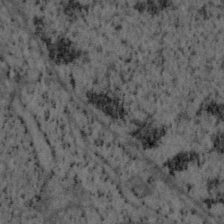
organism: Human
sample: HeLa cells